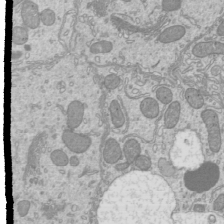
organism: Mouse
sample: Cilia; mouse epididymis